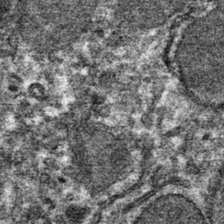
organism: Mouse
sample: Mouse hepatocytes